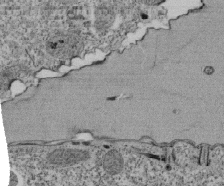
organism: Tetrahymena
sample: Cilia in tetrahymena